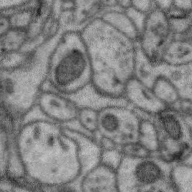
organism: Zebra finch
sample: Brain